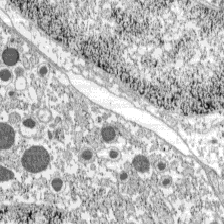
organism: C57BL Mouse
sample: Pancreatic islet